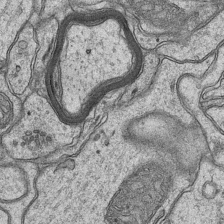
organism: Mouse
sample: CA1 Hippocampus